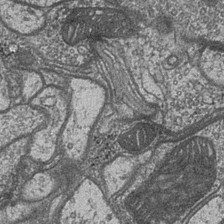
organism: Drosophila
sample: Optic medulla